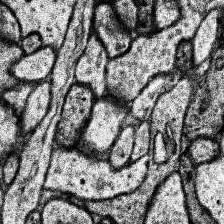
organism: Human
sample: Temporal Lobe